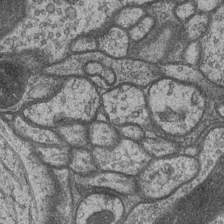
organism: Drosophila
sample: Optic medulla